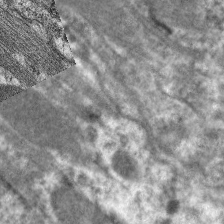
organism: C. elegans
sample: Pharynx